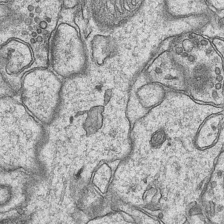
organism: Mouse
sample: CA1 Hippocampus